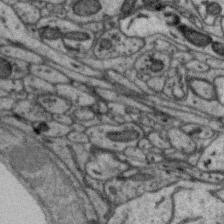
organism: Zebra finch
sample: Brain